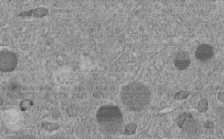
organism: C. elegans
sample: C. elegans embryo early stage